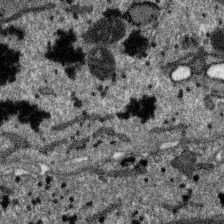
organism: Human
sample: Lung epithelial cells infected with SARS-CoV-2